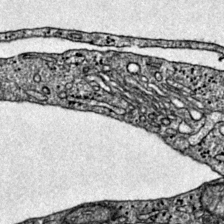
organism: Mouse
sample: Primary visual cortex